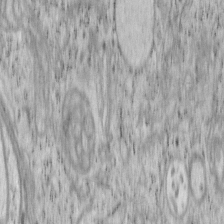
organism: Human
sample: HeLa cells